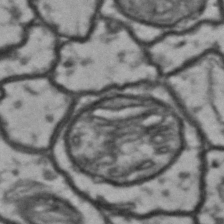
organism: Drosophila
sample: Brain